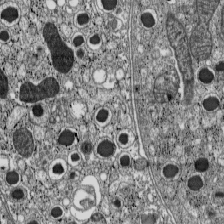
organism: C57BL Mouse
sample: Pancreatic islet